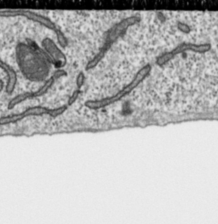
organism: Toxoplasma gondii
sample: Parasites in a vacuole inside a host cell